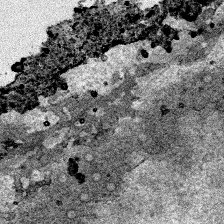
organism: Human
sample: Mitochondria in HCT116 cells